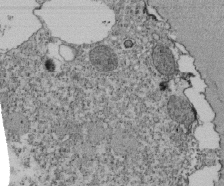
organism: Tetrahymena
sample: Cilia in tetrahymena